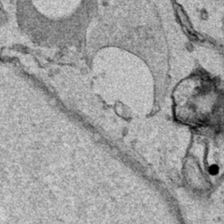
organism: Human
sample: Mitochondria in HCT116 cells